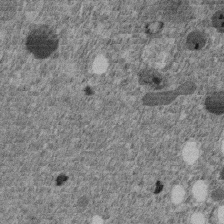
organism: C. elegans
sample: C. elegans embryo early stage